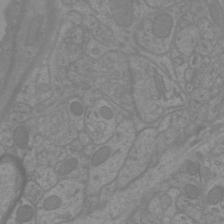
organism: Mouse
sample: Cortical neurons